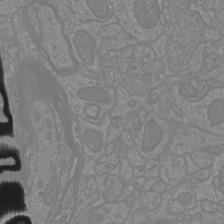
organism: Mouse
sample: Cortical neurons